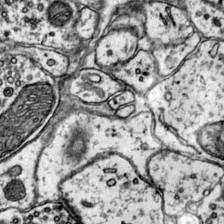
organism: Mouse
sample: Primary visual cortex